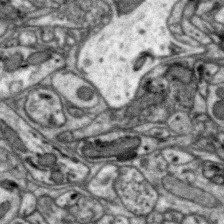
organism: Zebra finch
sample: Brain